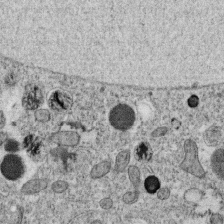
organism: C. elegans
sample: C. elegans oocyte; sperm cells